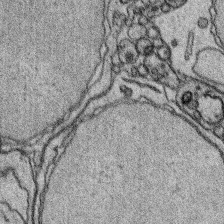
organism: Platynereis dumerilii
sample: Parapodia